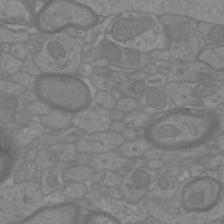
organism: Mouse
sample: Cortical neurons